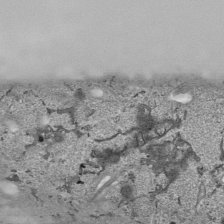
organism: Human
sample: Mitochondria in HCT116 cells